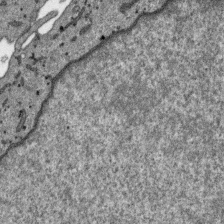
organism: Human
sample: Lung epithelial cells, uninfected (mock) control